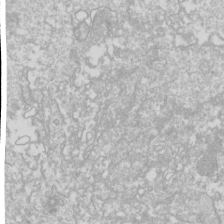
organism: Drosophila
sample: Cell division; meiosis; drosophila spermatocytes